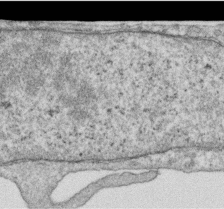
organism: Human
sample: Centriole in RPE cells